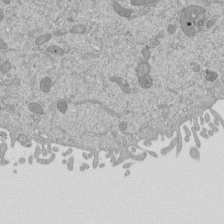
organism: Mouse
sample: ED-1 cell nuclei; centrioles